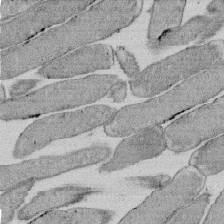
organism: E. coli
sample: Bacterial nucleoid